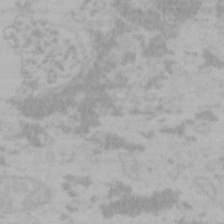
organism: Mouse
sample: Choroid plexus